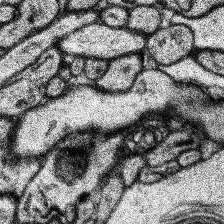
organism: Human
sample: Temporal Lobe